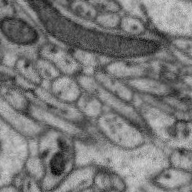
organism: Zebra finch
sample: Brain